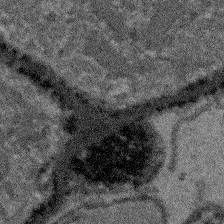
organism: Arabidopsis thaliana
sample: Root tip